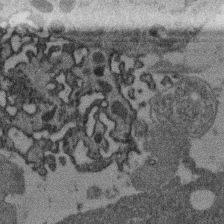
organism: Mouse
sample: Dividing mouse embryo 1 cell stage